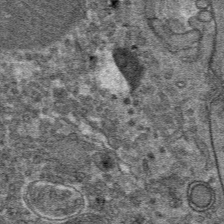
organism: Mouse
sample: Mouse hepatocytes